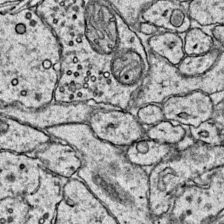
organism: Mouse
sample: Primary visual cortex